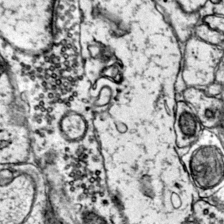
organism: Mouse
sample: Primary visual cortex